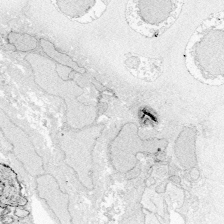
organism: Zebrafish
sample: Whole-Brain